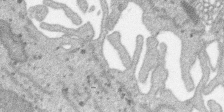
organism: Human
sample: Lung epithelial cells infected with SARS-CoV-2